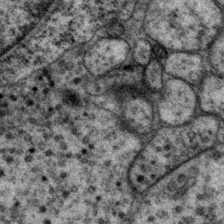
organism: P. pacificus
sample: Pharynx